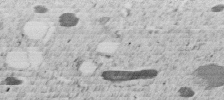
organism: C. elegans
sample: C. elegans embryo early stage